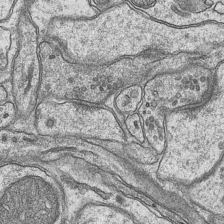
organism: Mouse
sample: CA1 Hippocampus